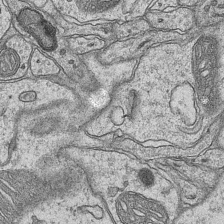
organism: Mouse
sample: CA1 Hippocampus